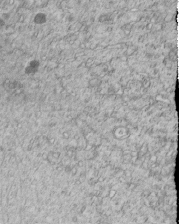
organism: C. elegans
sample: C. elegans embryo early stage